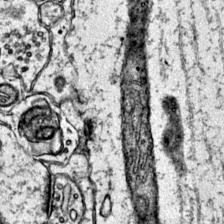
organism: Mouse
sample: Primary visual cortex